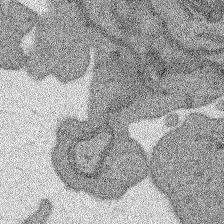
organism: Human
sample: HeLa cells